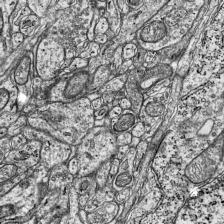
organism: Mouse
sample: Visual Cortex